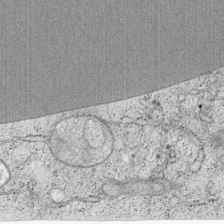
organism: African green monkey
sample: COS-7 cells